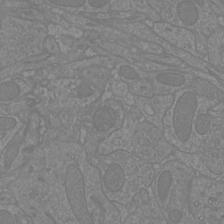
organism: Mouse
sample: Cortical neurons